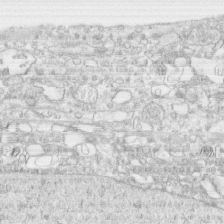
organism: Human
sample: CRL-1474